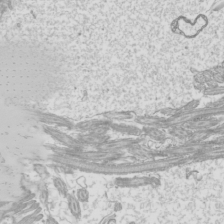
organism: Mouse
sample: Cilia; mouse epididymis